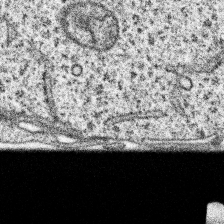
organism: Human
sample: HeLa cells